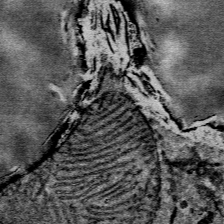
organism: Mouse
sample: Mouse Salivary gland